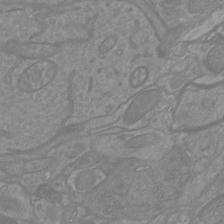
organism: Mouse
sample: Cortical neurons